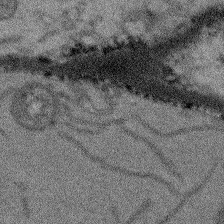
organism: Arabidopsis thaliana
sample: Root tip